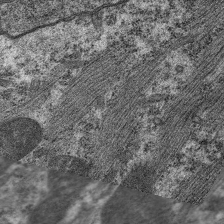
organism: C. elegans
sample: Pharynx